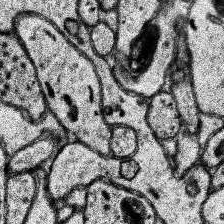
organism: Human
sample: Temporal Lobe